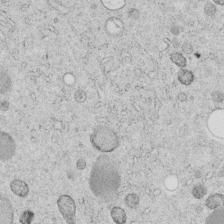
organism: C. elegans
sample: C. elegans embryo early stage